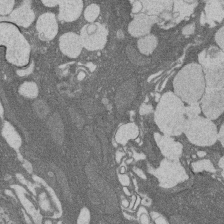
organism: Rat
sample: Salivary granule